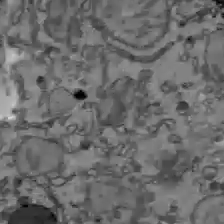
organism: C57BL Mouse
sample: Liver